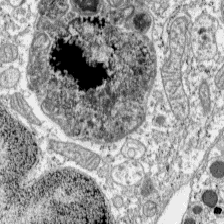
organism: C57BL Mouse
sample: Pancreatic islet